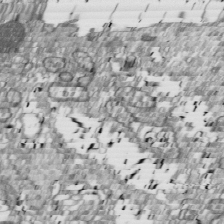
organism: Drosophila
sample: Cell division; meiosis; drosophila spermatocytes